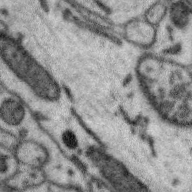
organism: Zebra finch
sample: Brain